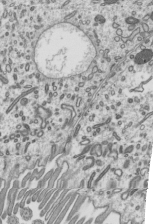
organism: Mouse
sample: Mouse epididymis efferent ductule cilia